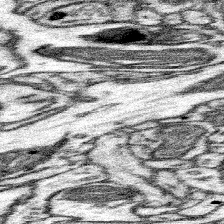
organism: Mouse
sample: Somatosensory cortex neuropil